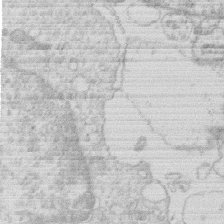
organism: Human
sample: Macrophage cells